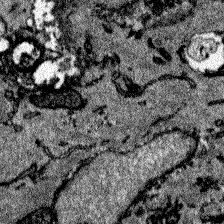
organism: Zebrafish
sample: Larval olfactory bulb